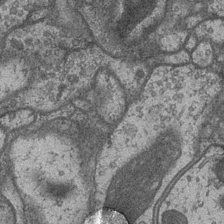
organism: Drosophila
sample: Optic medulla